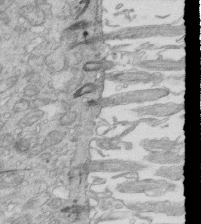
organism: Mouse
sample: Multiciliated cells